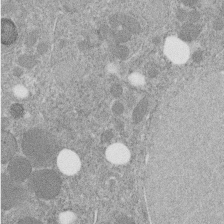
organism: C. elegans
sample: C. elegans embryo early stage